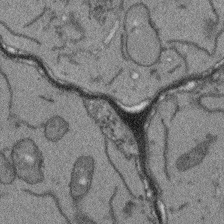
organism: Arabidopsis thaliana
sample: Root tip